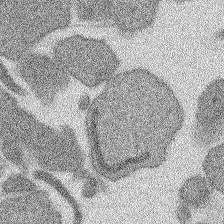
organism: Human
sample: HeLa cells